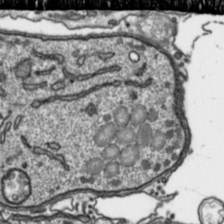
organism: Toxoplasma gondii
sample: Parasites in a vacuole inside a host cell